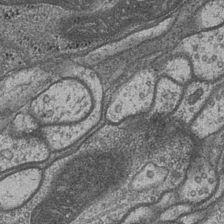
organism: Drosophila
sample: Optic medulla